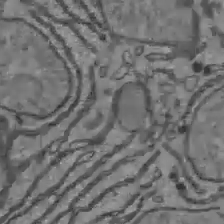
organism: C57BL Mouse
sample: Liver